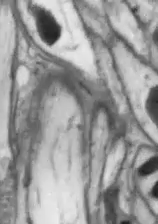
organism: Drosophila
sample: Optic lobe